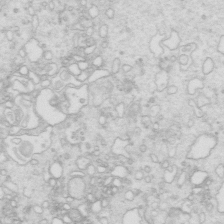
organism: Mouse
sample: Multiciliated cells